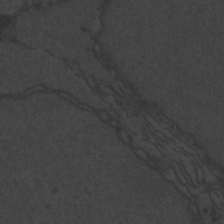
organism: Zebrafish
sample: Macrophage infected with Toxoplasma gondii